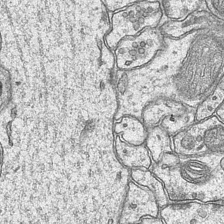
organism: Mouse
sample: CA1 Hippocampus